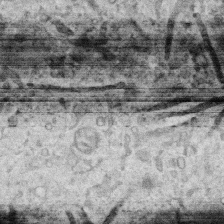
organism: Human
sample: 1205lu cells